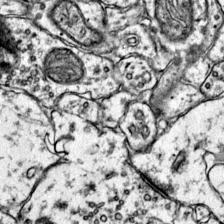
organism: Mouse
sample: Primary visual cortex